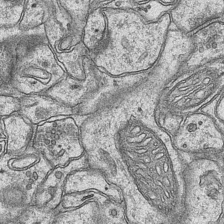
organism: Mouse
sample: CA1 Hippocampus